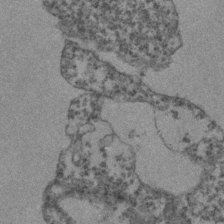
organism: Zebrafish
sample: Zebrafish embryo